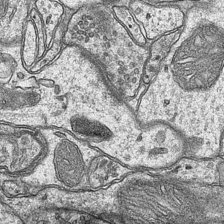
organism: Mouse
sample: CA1 Hippocampus